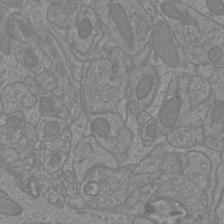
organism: Mouse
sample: Cortical neurons